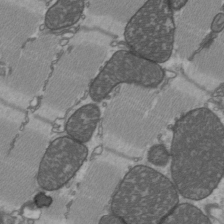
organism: C57BL Mouse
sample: Heart